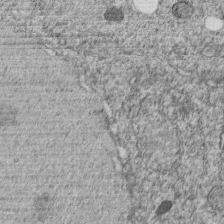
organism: C. elegans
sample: C. elegans embryo early stage